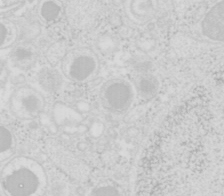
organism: Mouse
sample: Pancreas